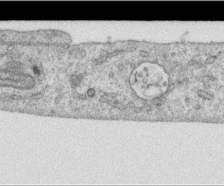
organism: Human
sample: Centriole in RPE cells